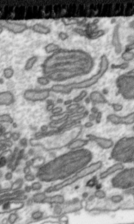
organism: Toxoplasma gondii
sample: Parasites in a vacuole inside a host cell